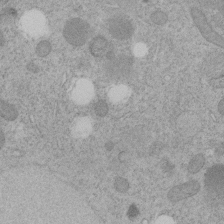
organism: C. elegans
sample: C. elegans embryo early stage